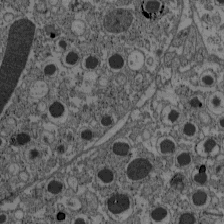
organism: C57BL Mouse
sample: Pancreatic islet